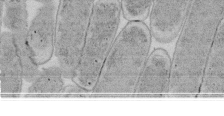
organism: E. coli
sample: Bacterial nucleoid